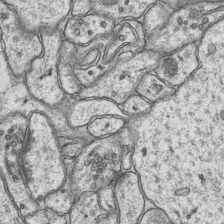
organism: Mouse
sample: CA1 Hippocampus